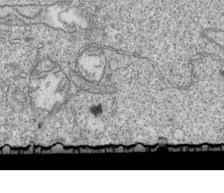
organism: Human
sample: HeLa cell HIV synapse